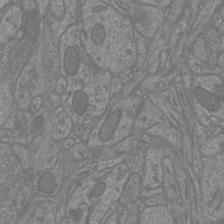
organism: Mouse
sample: Cortical neurons